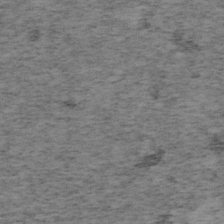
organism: Mouse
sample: OT-I killer T cells with ID8 ovarian cancer cells